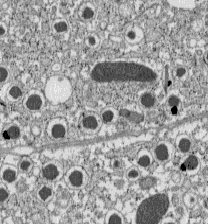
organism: C57BL Mouse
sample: Pancreatic islet